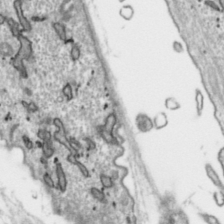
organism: Toxoplasma gondii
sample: Parasites in a vacuole inside a host cell